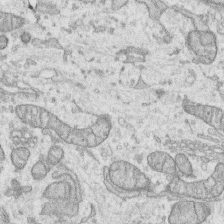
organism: Human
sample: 1205lu cells